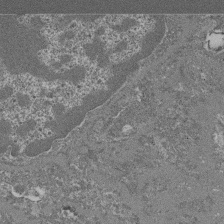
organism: Mouse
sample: Glomerulus